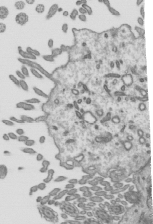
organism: Mouse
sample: Mouse epididymis efferent ductule cilia